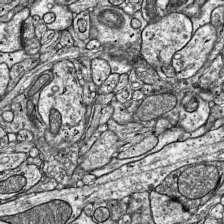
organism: Mouse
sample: Visual Cortex